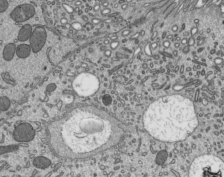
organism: Mouse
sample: Mouse epididymis efferent ductule cilia